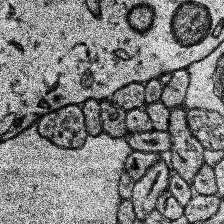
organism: Human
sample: Temporal Lobe